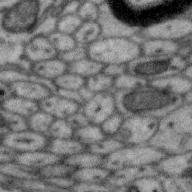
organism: Zebra finch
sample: Brain